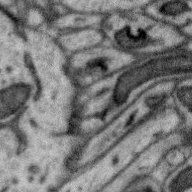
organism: Zebra finch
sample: Brain